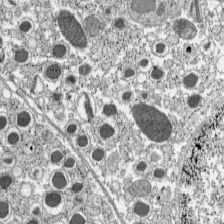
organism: C57BL Mouse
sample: Pancreatic islet